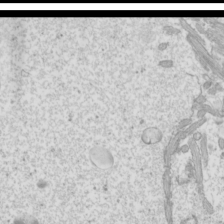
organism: Mouse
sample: Cilia; mouse epididymis